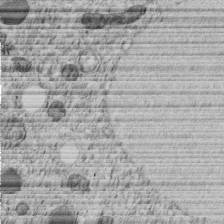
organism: C. elegans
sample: C. elegans embryo early stage